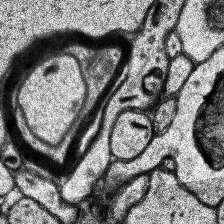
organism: Human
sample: Temporal Lobe